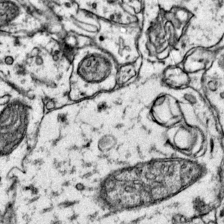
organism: Mouse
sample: Primary visual cortex